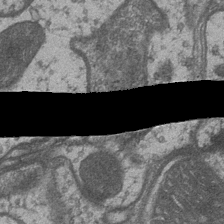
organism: Drosophila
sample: Optic medulla